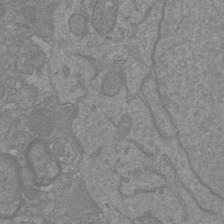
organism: Mouse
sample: Cortical neurons